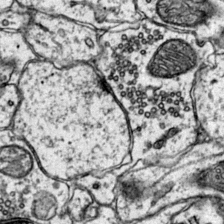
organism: Mouse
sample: Primary visual cortex